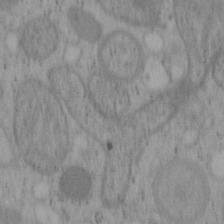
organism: Mouse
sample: OT-I killer T cells with ID8 ovarian cancer cells